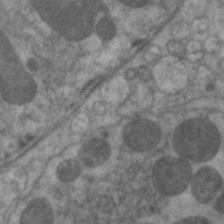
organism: C. elegans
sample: Pharynx